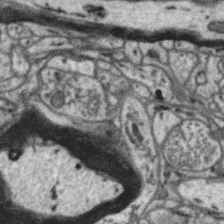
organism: Zebra finch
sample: Brain